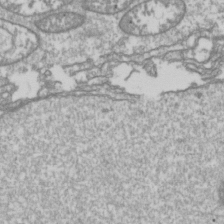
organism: Drosophila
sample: Cell division; meiosis; drosophila spermatocytes